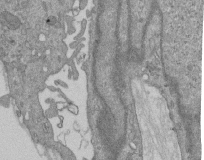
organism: Mouse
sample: ED-1 cell nuclei; centrioles